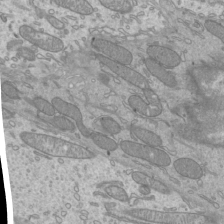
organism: Mouse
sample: Cilia; mouse epididymis